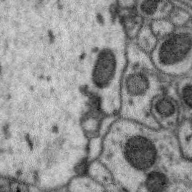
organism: Zebra finch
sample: Brain